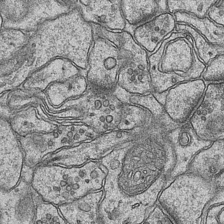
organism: Mouse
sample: CA1 Hippocampus